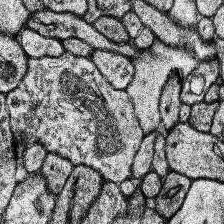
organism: Human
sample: Temporal Lobe